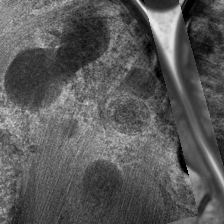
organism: C. elegans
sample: Pharynx